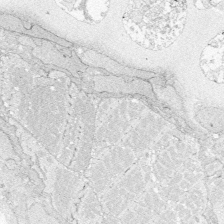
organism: Zebrafish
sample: Whole-Brain